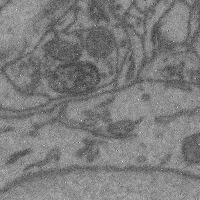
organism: Mouse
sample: Cerebral cortex